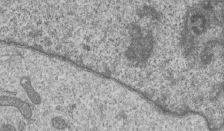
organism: Human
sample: MDA-MB-231 cells